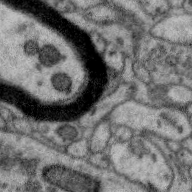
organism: Zebra finch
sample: Brain